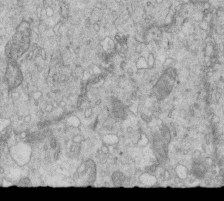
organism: Mouse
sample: Multiciliated cells